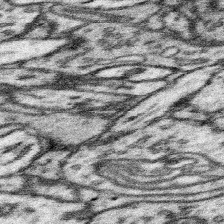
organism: Mouse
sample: Somatosensory cortex neuropil